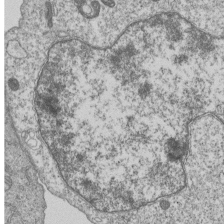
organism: Human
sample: MDA-MB-231 cells